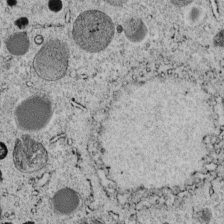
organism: C. elegans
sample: C. elegans embryo early stage